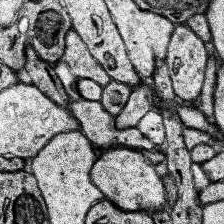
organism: Human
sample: Temporal Lobe